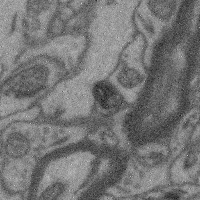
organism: Mouse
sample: Cerebral cortex